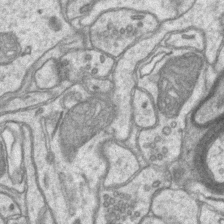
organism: Mouse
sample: CA1 Hippocampus